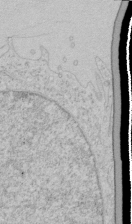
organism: Human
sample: Mitochondria in HCT116 cells